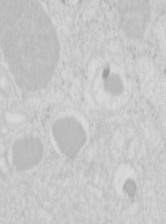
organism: Mouse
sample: Pancreas